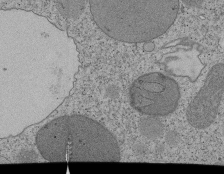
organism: Tetrahymena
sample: Cilia in tetrahymena